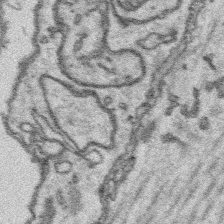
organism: Platynereis dumerilii